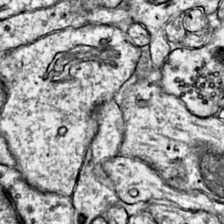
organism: Mouse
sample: Primary visual cortex